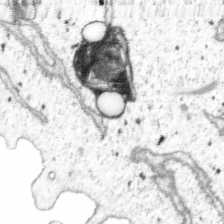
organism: Human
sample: HeLa cells